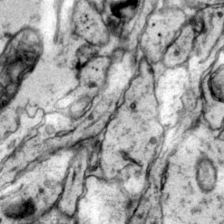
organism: Mouse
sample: Primary visual cortex